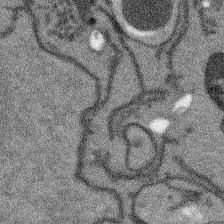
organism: Arabidopsis thaliana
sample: Root tip